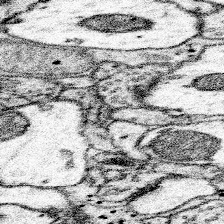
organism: Mouse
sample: Somatosensory cortex neuropil